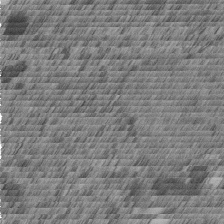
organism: C. elegans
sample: C. elegans embryo early stage